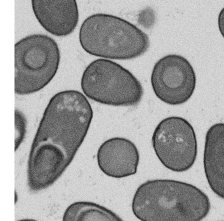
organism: B. subtilis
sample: Bacterial spore